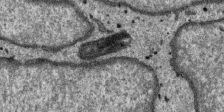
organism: Human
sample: Lung epithelial cells, uninfected (mock) control